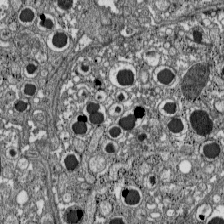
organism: C57BL Mouse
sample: Pancreatic islet